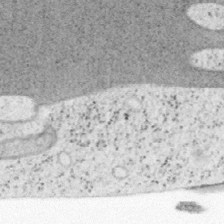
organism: Mouse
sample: OT-I killer T cells with ID8 ovarian cancer cells